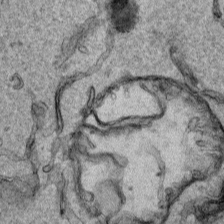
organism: Human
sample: Mitochondria in HCT116 cells